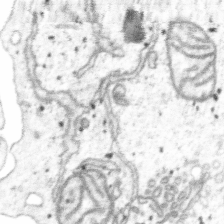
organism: Human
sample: HeLa cells